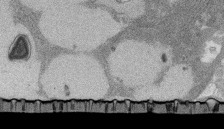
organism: Rat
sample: Salivary granule